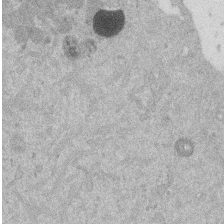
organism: Mouse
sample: Dividing mouse embryo 1 cell stage